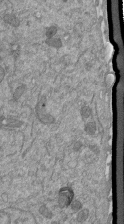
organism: Mouse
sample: ED-1 cell nuclei; centrioles